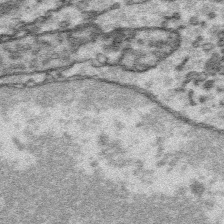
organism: Platynereis dumerilii